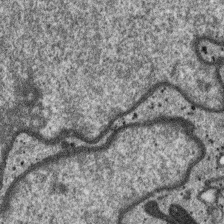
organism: Human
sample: Lung epithelial cells infected with SARS-CoV-2